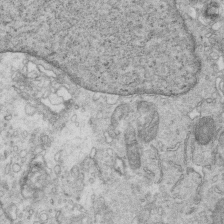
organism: Mouse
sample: Multiciliated cells